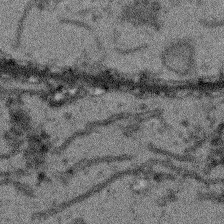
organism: Arabidopsis thaliana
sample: Root tip